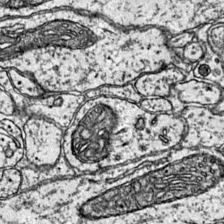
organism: Mouse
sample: Primary visual cortex